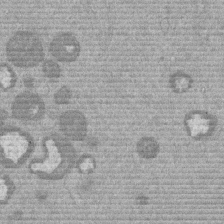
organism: Mouse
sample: Dividing mouse embryo 1 cell stage